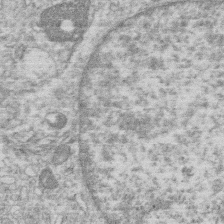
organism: Human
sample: Macrophage cells